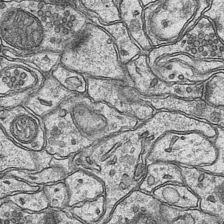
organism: Mouse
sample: CA1 Hippocampus